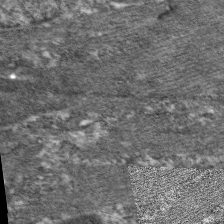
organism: C. elegans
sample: Pharynx